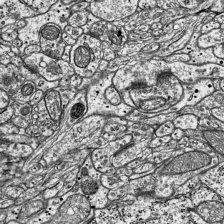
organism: Mouse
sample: Visual Cortex